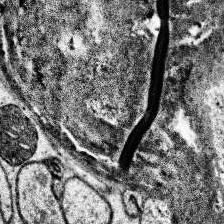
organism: Human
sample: Temporal Lobe